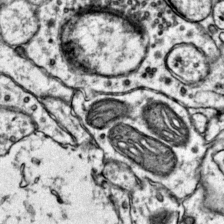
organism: Mouse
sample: Primary visual cortex